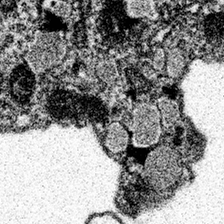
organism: Spongilla lacustris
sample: Neuroid cell